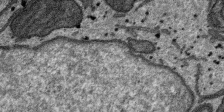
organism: Human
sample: Lung epithelial cells, uninfected (mock) control